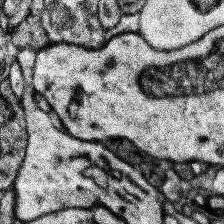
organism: Human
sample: Temporal Lobe